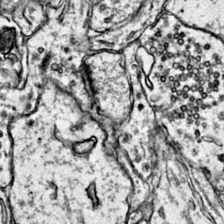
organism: Mouse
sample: Primary visual cortex